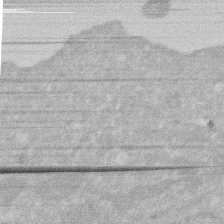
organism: Human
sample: HIV infected U937 cells